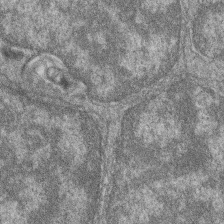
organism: Zebrafish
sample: Cilia; retinal pigment epithelium